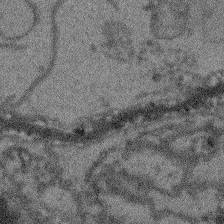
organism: Arabidopsis thaliana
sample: Root tip